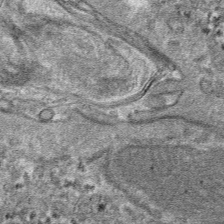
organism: Mouse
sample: Mouse hepatocytes